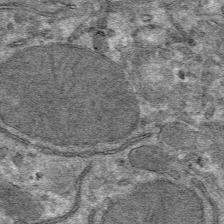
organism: Mouse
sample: Mouse hepatocytes